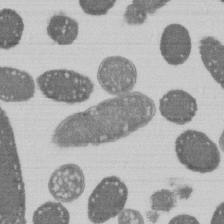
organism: E. coli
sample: Bacterial nucleoid